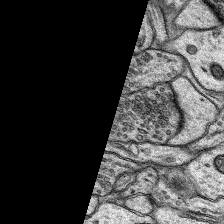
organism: Rat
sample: Hippocampus